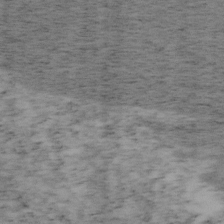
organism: Mouse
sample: OT-I killer T cells with ID8 ovarian cancer cells